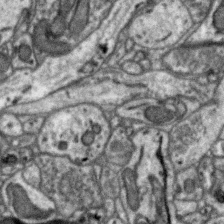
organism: Zebra finch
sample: Brain